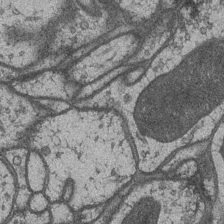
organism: Drosophila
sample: Optic medulla